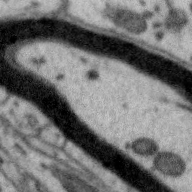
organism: Zebra finch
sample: Brain